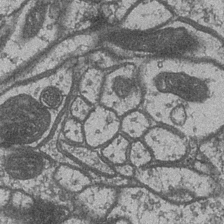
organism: Drosophila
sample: Optic medulla